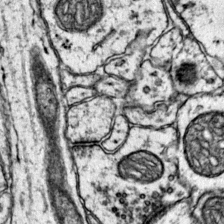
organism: Mouse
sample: Primary visual cortex